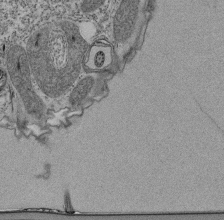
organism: Tetrahymena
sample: Cilia in tetrahymena